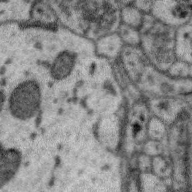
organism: Zebra finch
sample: Brain